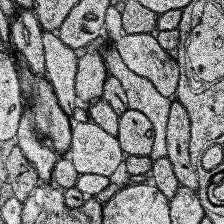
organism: Human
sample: Temporal Lobe